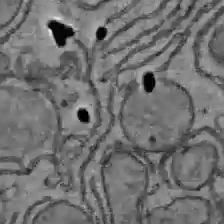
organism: C57BL Mouse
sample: Liver